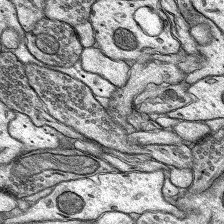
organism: Rat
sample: Hippocampus